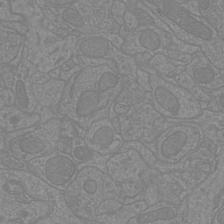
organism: Mouse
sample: Cortical neurons